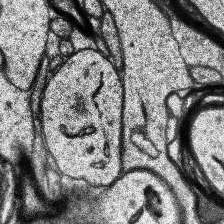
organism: Human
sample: Temporal Lobe